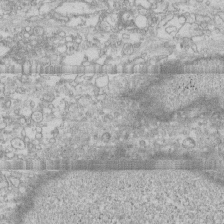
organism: Human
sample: CRL-1474